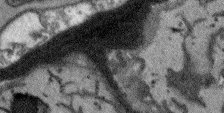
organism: Arabidopsis thaliana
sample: Root tip